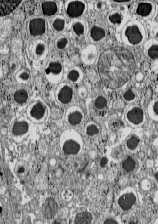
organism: C57BL Mouse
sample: Pancreatic islet